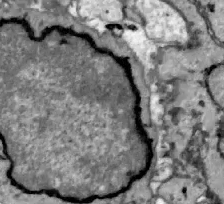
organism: Zebrafish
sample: Actinotrichia fibers